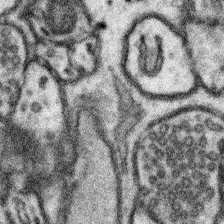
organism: Mouse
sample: Somatosensory cortex neuropil